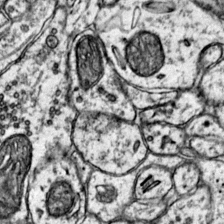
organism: Mouse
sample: Primary visual cortex